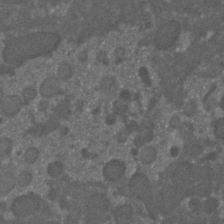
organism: C. elegans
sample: C. elegans embryo